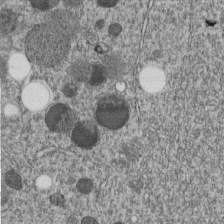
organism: C. elegans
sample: C. elegans embryo early stage